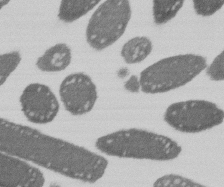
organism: E. coli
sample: Bacterial nucleoid